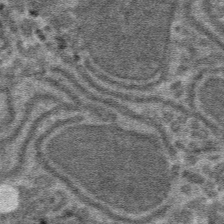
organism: Mouse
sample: Mouse hepatocytes